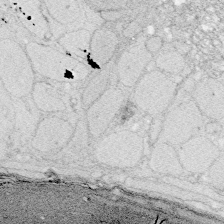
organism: Zebrafish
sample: Whole-Brain